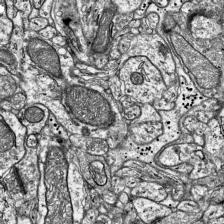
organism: Mouse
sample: Visual Cortex